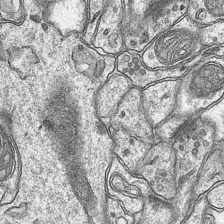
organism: Mouse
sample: CA1 Hippocampus